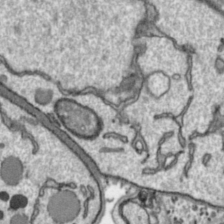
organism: Toxoplasma gondii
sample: Parasites in a vacuole inside a host cell